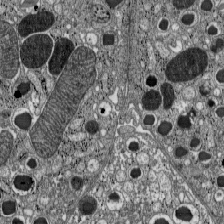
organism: C57BL Mouse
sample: Pancreatic islet